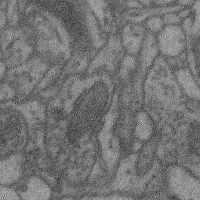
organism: Mouse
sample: Cerebral cortex